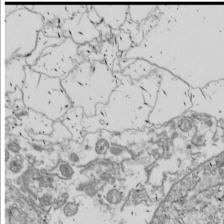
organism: Drosophila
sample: Cell division; meiosis; drosophila spermatocytes